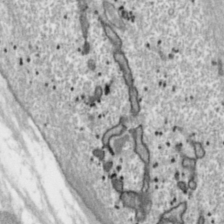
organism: Toxoplasma gondii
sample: Parasites in a vacuole inside a host cell